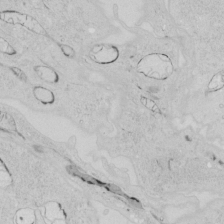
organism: Human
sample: Mitochondria in HCT116 cells